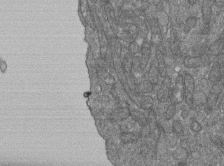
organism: Human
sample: Retinal organoid Rod and Cone cells